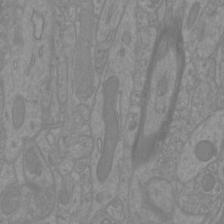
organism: Mouse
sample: Cortical neurons